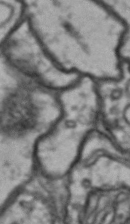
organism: Drosophila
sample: Brain